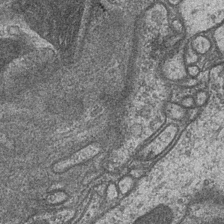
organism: Drosophila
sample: Optic medulla